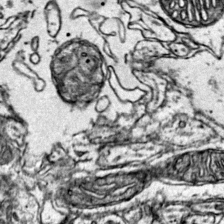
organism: Mouse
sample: Primary visual cortex